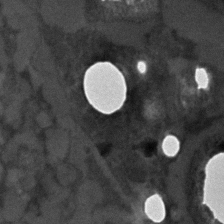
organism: C. elegans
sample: C. elegans embryo